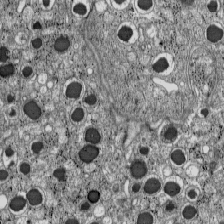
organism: C57BL Mouse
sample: Pancreatic islet